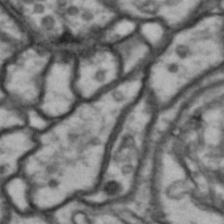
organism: Drosophila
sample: Brain